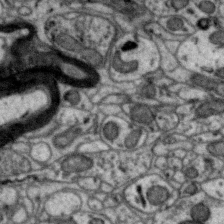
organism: Zebra finch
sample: Brain